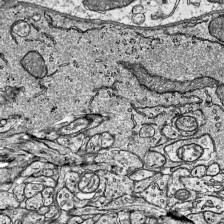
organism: Mouse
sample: Visual Cortex